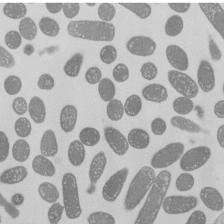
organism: E. coli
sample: Bacterial nucleoid